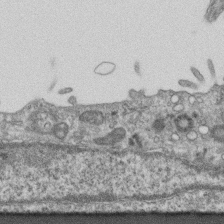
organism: Mouse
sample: Centriole in ependymal cells